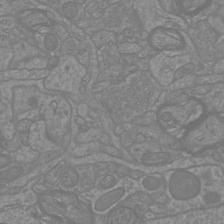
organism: Mouse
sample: Cortical neurons